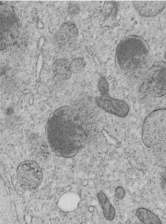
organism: C. elegans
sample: C. elegans embryo early stage